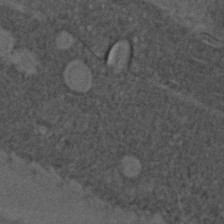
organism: C. elegans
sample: C. elegans embryo